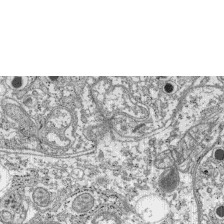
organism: C57BL Mouse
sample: Pancreatic islet